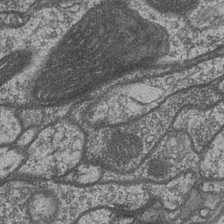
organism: Drosophila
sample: Optic medulla